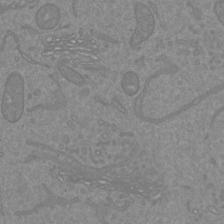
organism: Mouse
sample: Cortical neurons